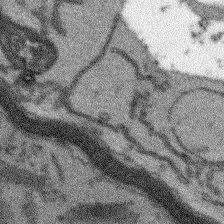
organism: Arabidopsis thaliana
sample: Root tip